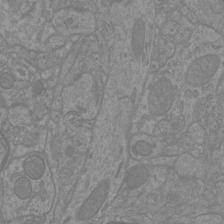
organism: Mouse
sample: Cortical neurons